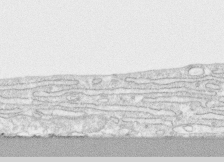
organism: Human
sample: CRL-1474